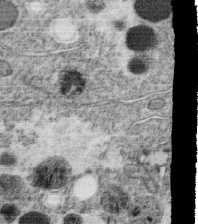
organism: C. elegans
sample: C. elegans oocyte; sperm cells